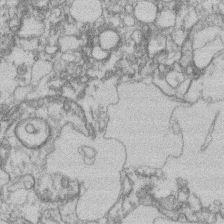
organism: Mouse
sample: T cell stromal cell synapse